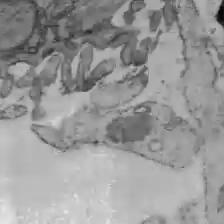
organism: C57BL Mouse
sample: Liver